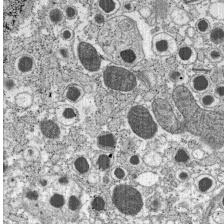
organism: C57BL Mouse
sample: Pancreatic islet